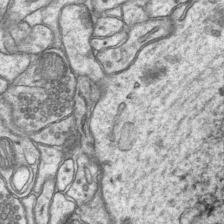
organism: Mouse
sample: CA1 Hippocampus